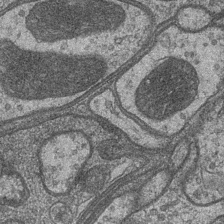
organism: Drosophila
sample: Optic medulla